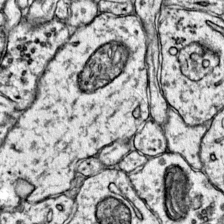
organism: Mouse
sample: Primary visual cortex